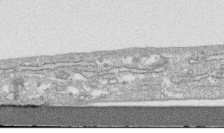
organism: Human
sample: CRL-1474